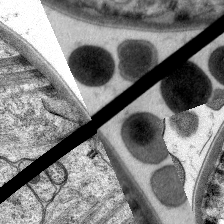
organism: C. elegans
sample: Pharynx